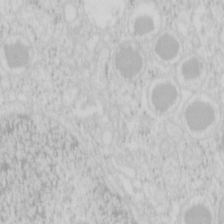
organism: Mouse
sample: Pancreas